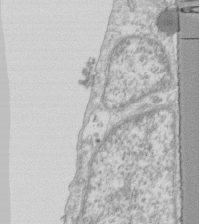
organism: Human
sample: Fibroblast cells